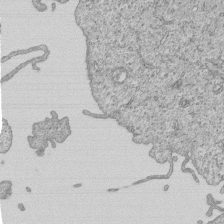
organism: Human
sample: MDA-MB-231 cells